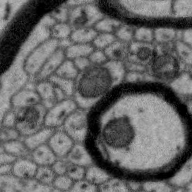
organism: Zebra finch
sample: Brain